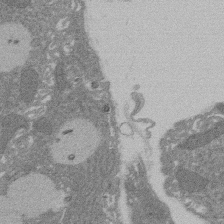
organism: Rat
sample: Salivary granule